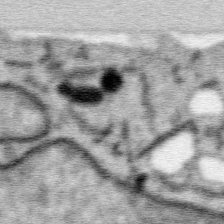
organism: Human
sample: HeLa cells